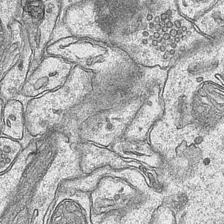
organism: Mouse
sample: CA1 Hippocampus